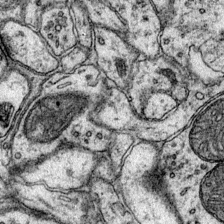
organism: Mouse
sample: Primary visual cortex